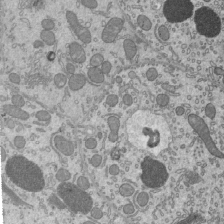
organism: Mouse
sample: Mouse epididymis efferent ductule cilia